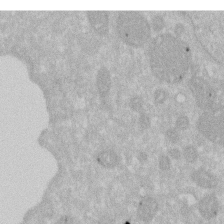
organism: Human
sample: HIV infected U937 cells